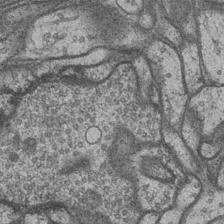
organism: Drosophila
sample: Optic medulla